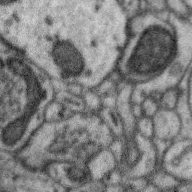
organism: Zebra finch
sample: Brain